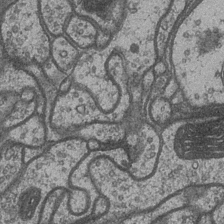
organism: Drosophila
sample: Optic medulla